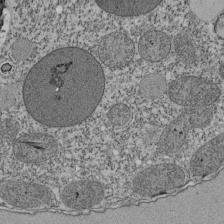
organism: Tetrahymena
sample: Cilia in tetrahymena